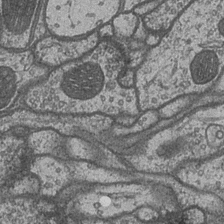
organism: Drosophila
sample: Optic medulla